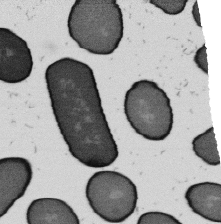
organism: B. subtilis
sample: Bacterial spore